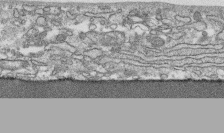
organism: Human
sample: CRL-1474